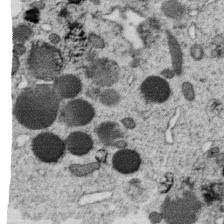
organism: C. elegans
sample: C. elegans oocyte; sperm cells